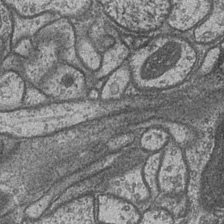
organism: Drosophila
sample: Optic medulla